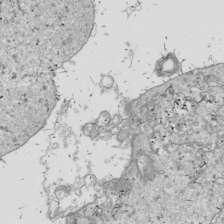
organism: Drosophila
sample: Cell division; meiosis; drosophila spermatocytes